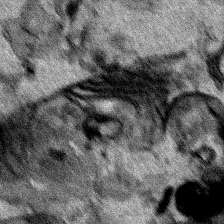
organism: Human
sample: Mitochondria in HCT116 cells